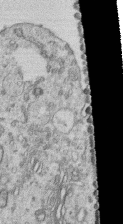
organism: Human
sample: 1205lu cells